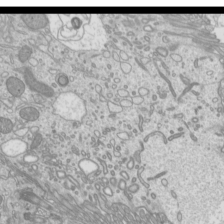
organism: Mouse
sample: Cilia; mouse epididymis